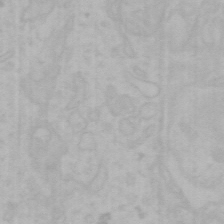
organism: Mouse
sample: Choroid plexus